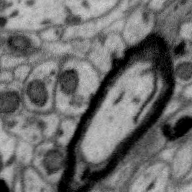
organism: Zebra finch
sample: Brain